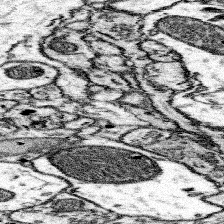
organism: Mouse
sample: Somatosensory cortex neuropil